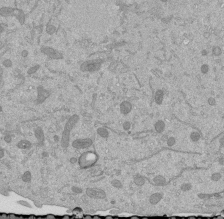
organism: Mouse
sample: ED-1 cell nuclei; centrioles